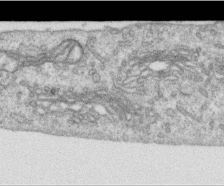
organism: Human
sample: Centriole in RPE cells